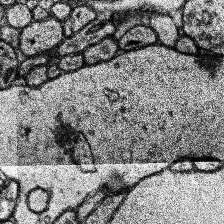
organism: Human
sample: Temporal Lobe